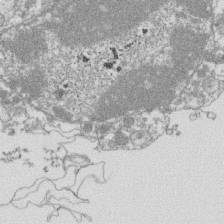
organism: Human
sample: HeLa cell HIV synapse